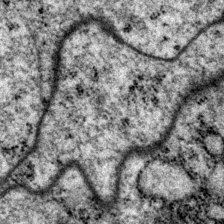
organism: P. pacificus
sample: Pharynx